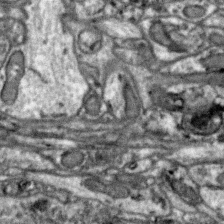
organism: Zebra finch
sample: Brain